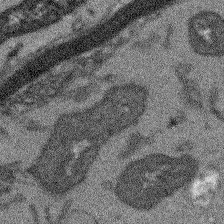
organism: Arabidopsis thaliana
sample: Root tip